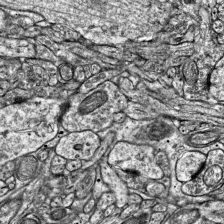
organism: Mouse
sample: Visual Cortex